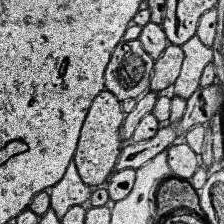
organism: Human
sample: Temporal Lobe